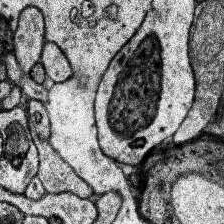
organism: Human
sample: Temporal Lobe